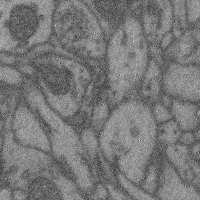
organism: Mouse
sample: Cerebral cortex